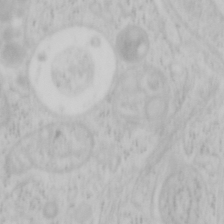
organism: Mouse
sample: OT-I killer T cells with ID8 ovarian cancer cells